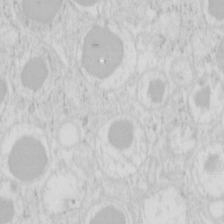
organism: Mouse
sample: Pancreas